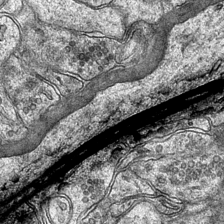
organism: Mouse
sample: CA1 Hippocampus